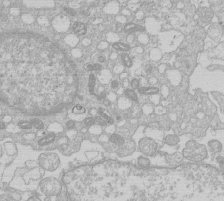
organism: Human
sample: Macrophage cells